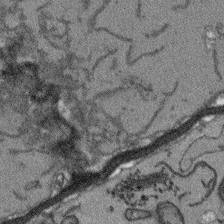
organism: Arabidopsis thaliana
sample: Root tip